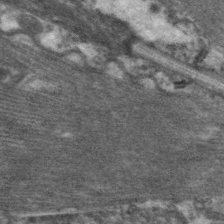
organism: C. elegans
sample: Pharynx